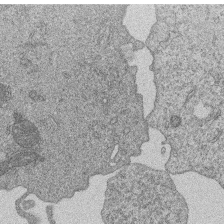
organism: Human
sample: MDA-MB-231 cells